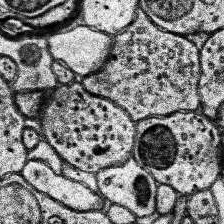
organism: Human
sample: Temporal Lobe